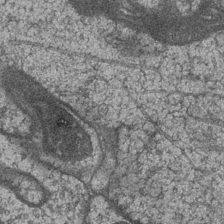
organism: Drosophila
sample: Optic medulla